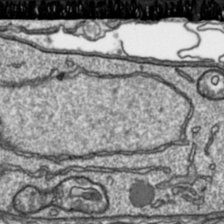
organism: Toxoplasma gondii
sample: Parasites in a vacuole inside a host cell